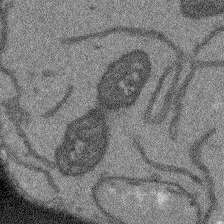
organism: Arabidopsis thaliana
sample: Root tip